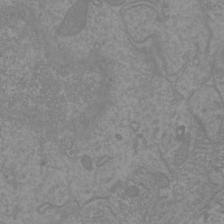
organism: Mouse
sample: Cortical neurons